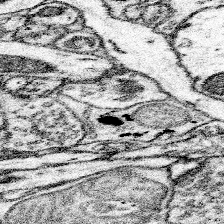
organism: Mouse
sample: Somatosensory cortex neuropil